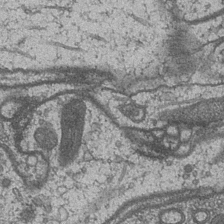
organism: Drosophila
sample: Optic medulla